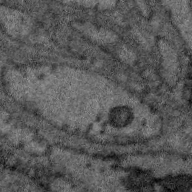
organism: Zebra finch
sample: Brain